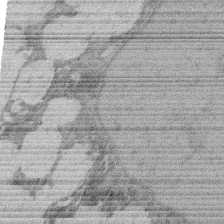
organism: Rat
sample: Salivary granule